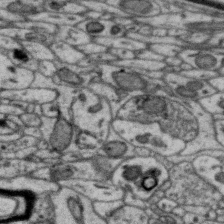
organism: Zebra finch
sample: Brain